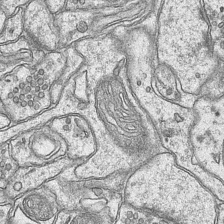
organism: Mouse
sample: CA1 Hippocampus